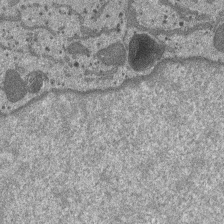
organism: Human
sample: Lung epithelial cells infected with SARS-CoV-2